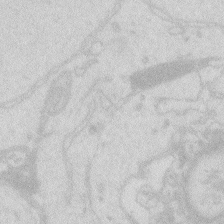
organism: Zebrafish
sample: Macrophage